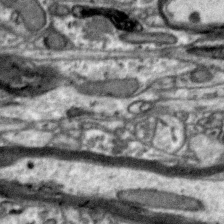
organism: Zebra finch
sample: Brain